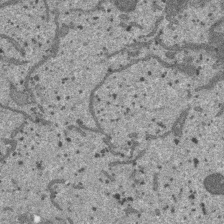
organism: Human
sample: Lung epithelial cells infected with SARS-CoV-2